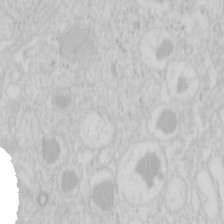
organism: Mouse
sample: Pancreas